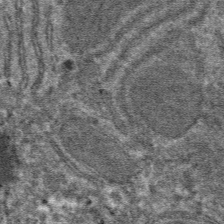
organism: Mouse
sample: Mouse hepatocytes